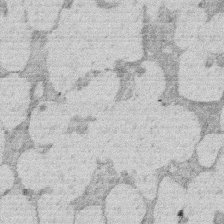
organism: Rat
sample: Salivary granule